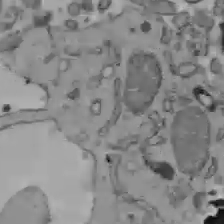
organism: C57BL Mouse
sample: Liver